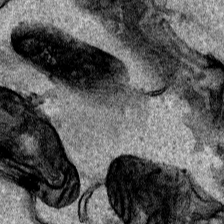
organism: Human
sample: Mitochondria in HCT116 cells